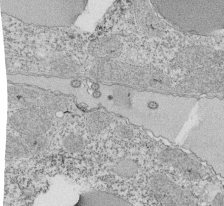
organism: Tetrahymena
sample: Cilia in tetrahymena